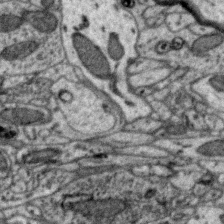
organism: Zebra finch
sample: Brain